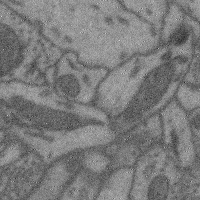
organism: Mouse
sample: Cerebral cortex